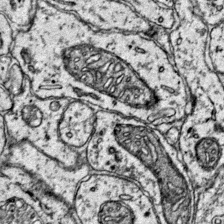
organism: Mouse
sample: Primary visual cortex